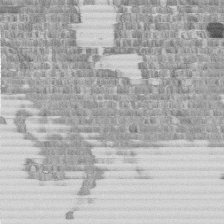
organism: Human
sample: Centriole in fibroblast cells